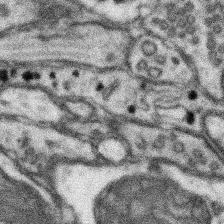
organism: Mouse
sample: Somatosensory cortex neuropil